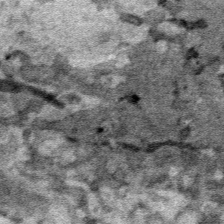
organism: Human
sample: Mitochondria in HCT116 cells